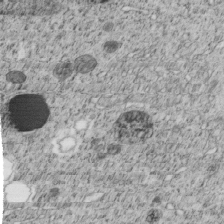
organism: C. elegans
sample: C. elegans embryo early stage